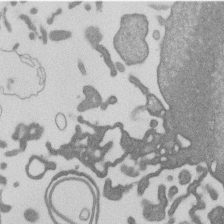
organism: Mouse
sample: Dividing mouse embryo 1 cell stage